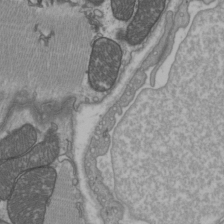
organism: C57BL Mouse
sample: Heart